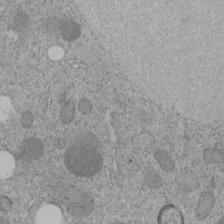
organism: C. elegans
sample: C. elegans embryo early stage